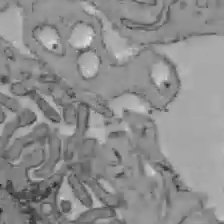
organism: C57BL Mouse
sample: Liver